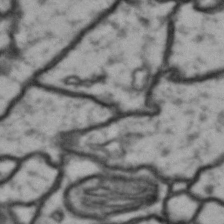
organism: Drosophila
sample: Brain